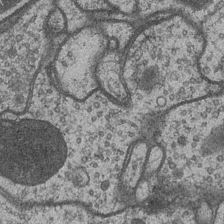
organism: Drosophila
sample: Optic medulla